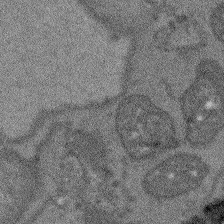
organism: Arabidopsis thaliana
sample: Root tip